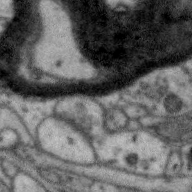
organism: Zebra finch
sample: Brain